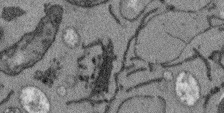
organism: Arabidopsis thaliana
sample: Root tip